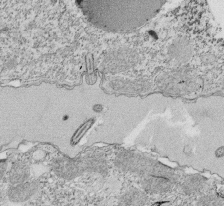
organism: Tetrahymena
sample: Cilia in tetrahymena